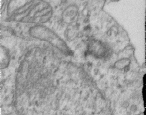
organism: Human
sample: Centriole in RPE cells